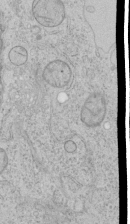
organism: Human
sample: Mitochondria in HCT116 cells